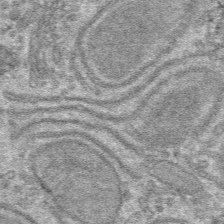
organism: Mouse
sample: Mouse hepatocytes